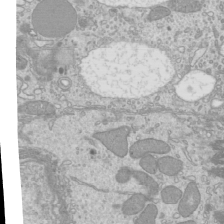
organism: Mouse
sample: Cilia; mouse epididymis